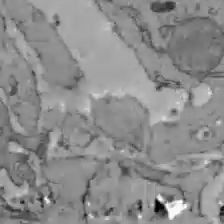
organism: C57BL Mouse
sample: Liver